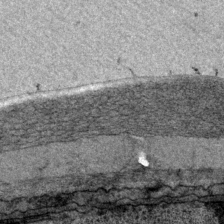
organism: P. pacificus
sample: Pharynx